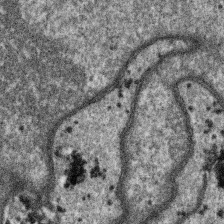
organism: Human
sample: Lung epithelial cells infected with SARS-CoV-2